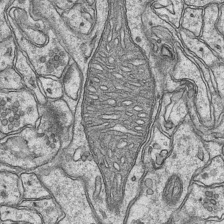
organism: Mouse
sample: CA1 Hippocampus